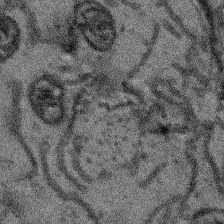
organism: Arabidopsis thaliana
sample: Root tip